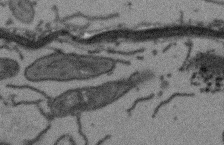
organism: Arabidopsis thaliana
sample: Root tip